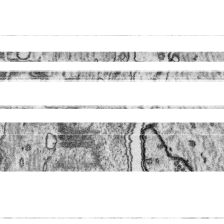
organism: Platynereis dumerilii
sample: Parapodia